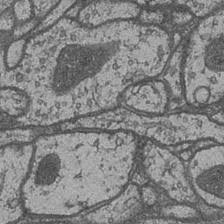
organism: Drosophila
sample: Optic medulla